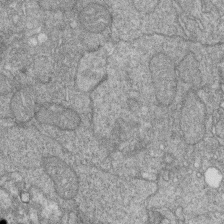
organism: Zebrafish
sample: Cilia; retinal pigment epithelium